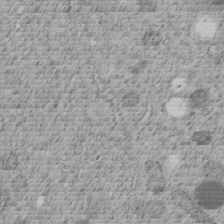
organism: C. elegans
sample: C. elegans embryo early stage